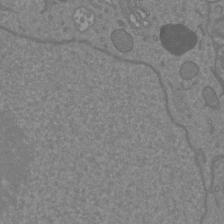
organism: Mouse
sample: Cortical neurons